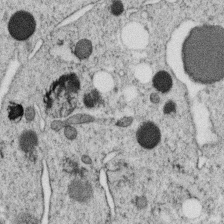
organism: C. elegans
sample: C. elegans oocyte; sperm cells